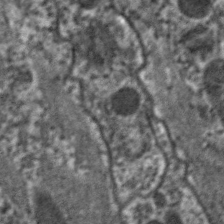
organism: C. elegans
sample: Pharynx